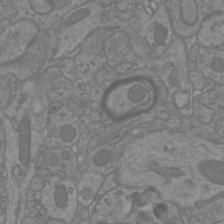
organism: Mouse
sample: Cortical neurons